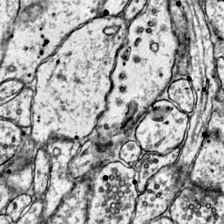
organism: Mouse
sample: Primary visual cortex